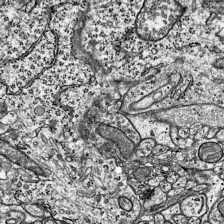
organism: Mouse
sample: Visual Cortex